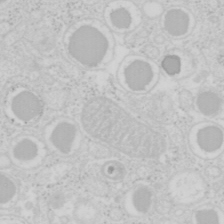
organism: Mouse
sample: Pancreas